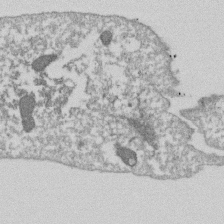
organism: Dictyostelium discoideum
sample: Dictyostelium multivesicular bodies